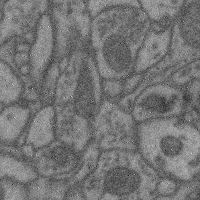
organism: Mouse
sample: Cerebral cortex